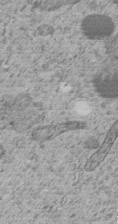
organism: C. elegans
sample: C. elegans embryo early stage